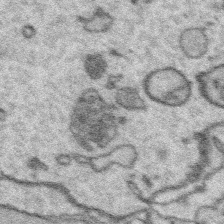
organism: Platynereis dumerilii